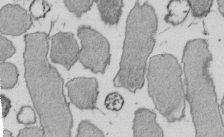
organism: E. coli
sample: Bacterial nucleoid